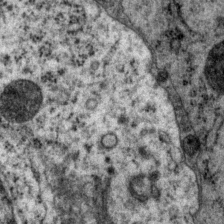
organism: P. pacificus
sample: Pharynx